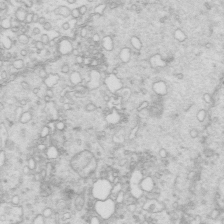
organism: Mouse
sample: Multiciliated cells